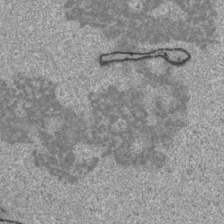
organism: Human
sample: Mitochondria in HCT116 cells